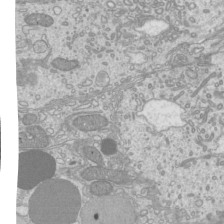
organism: Mouse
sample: Cilia; mouse epididymis